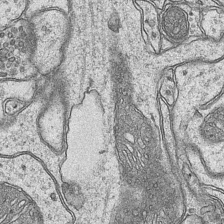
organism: Mouse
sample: CA1 Hippocampus